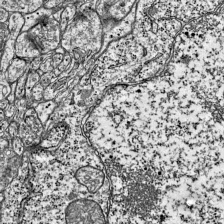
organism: Mouse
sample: Visual Cortex